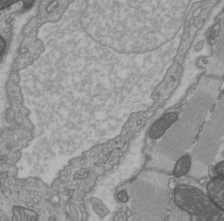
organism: C57BL Mouse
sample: Heart